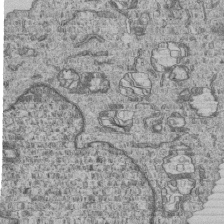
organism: Human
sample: MDA-MB-231 cells